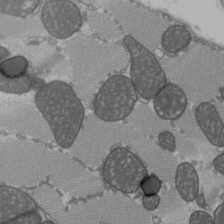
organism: C57BL Mouse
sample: Heart